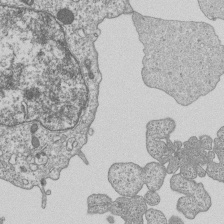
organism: Human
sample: MDA-MB-231 cells